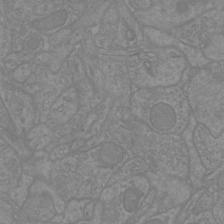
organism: Mouse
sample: Cortical neurons